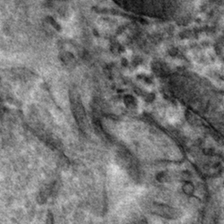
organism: Mouse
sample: Mouse hepatocytes